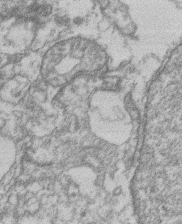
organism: Mouse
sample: T cell stromal cell synapse